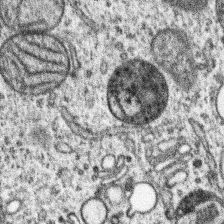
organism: Human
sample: HeLa cells